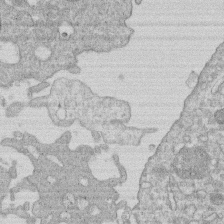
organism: Human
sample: Macrophage cells